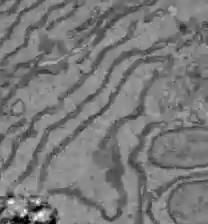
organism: C57BL Mouse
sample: Liver